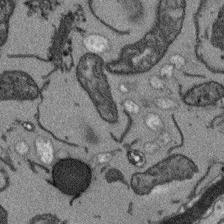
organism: Arabidopsis thaliana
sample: Root tip